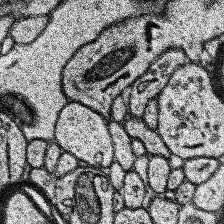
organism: Human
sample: Temporal Lobe